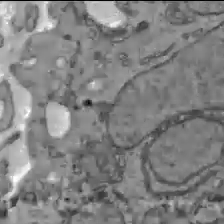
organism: C57BL Mouse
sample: Liver